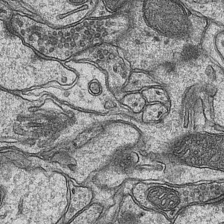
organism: Mouse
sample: CA1 Hippocampus